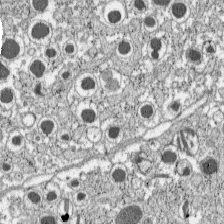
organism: C57BL Mouse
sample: Pancreatic islet